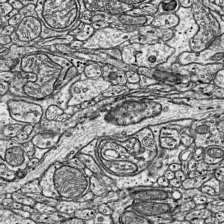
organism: Mouse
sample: Visual Cortex